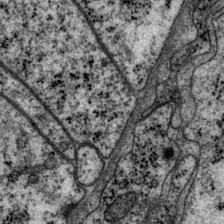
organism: P. pacificus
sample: Pharynx